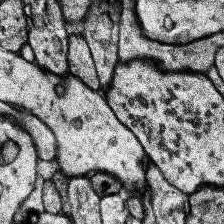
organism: Human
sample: Temporal Lobe